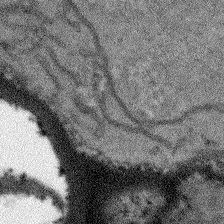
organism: Arabidopsis thaliana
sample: Root tip